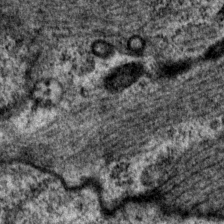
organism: P. pacificus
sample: Pharynx